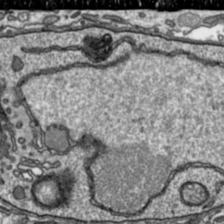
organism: Toxoplasma gondii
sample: Parasites in a vacuole inside a host cell